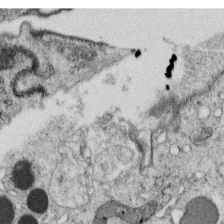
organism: C. elegans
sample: C. elegans oocyte; sperm cells